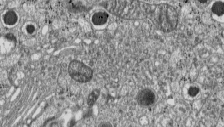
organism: C57BL Mouse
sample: Pancreatic islet